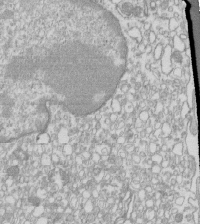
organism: Mouse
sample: Macrophages